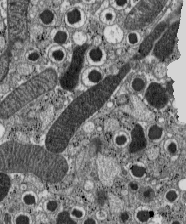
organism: C57BL Mouse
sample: Pancreatic islet